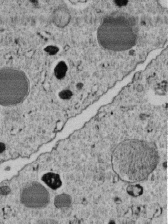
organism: C. elegans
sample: C. elegans embryo early stage